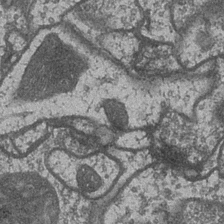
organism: Drosophila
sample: Optic medulla